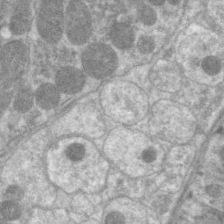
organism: C. elegans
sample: Pharynx